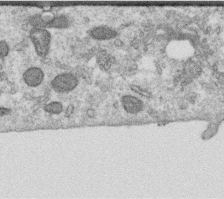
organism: Human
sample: Centriole in RPE cells